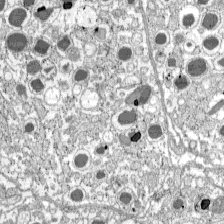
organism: C57BL Mouse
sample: Pancreatic islet